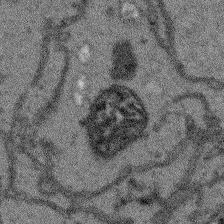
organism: Arabidopsis thaliana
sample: Root tip